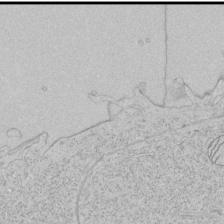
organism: Human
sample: Mitochondria in HCT116 cells